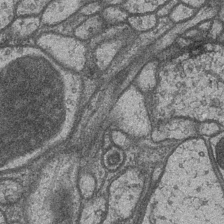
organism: Drosophila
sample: Optic medulla